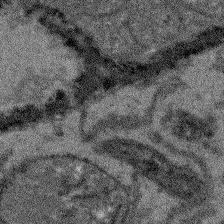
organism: Arabidopsis thaliana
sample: Root tip